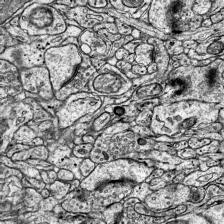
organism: Mouse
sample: Visual Cortex